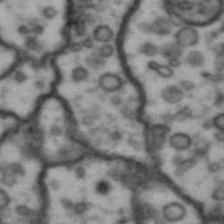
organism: Drosophila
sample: Brain